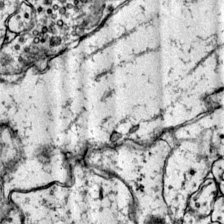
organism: Mouse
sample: Primary visual cortex